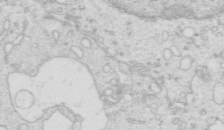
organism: Mouse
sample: Multiciliated cells